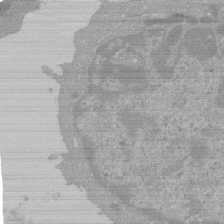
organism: Mouse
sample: Activated Pmel transgenic CD8+ T Cells